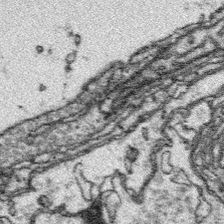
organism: Platynereis dumerilii